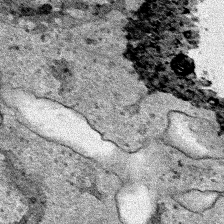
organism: Human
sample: Mitochondria in HCT116 cells